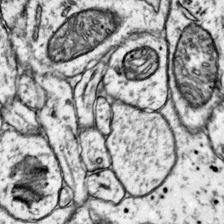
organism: Mouse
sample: Primary visual cortex